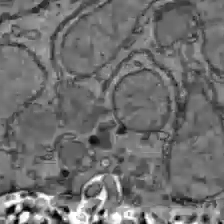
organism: C57BL Mouse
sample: Liver